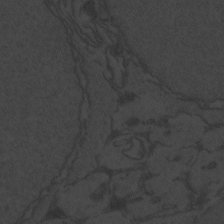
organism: Zebrafish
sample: Macrophage infected with Toxoplasma gondii